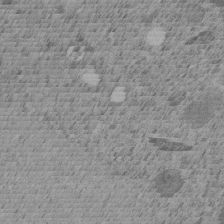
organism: C. elegans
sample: C. elegans embryo early stage